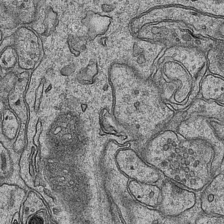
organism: Mouse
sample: CA1 Hippocampus